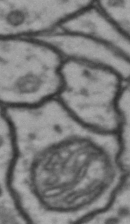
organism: Drosophila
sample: Brain